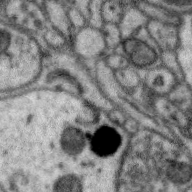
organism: Zebra finch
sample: Brain